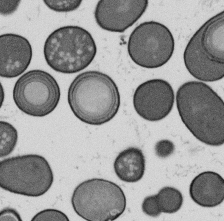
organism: B. subtilis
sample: Bacterial spore